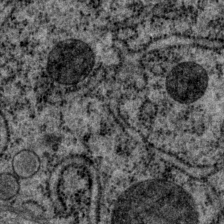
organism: P. pacificus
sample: Pharynx